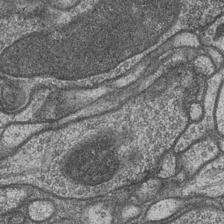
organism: Drosophila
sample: Optic medulla